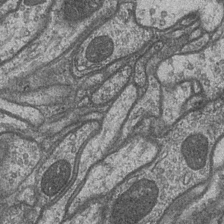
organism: Drosophila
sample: Optic medulla